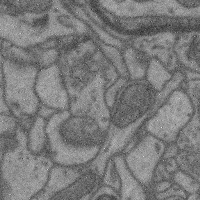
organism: Mouse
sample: Cerebral cortex